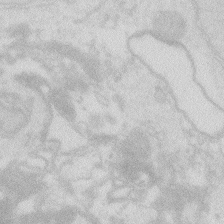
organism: Zebrafish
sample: Macrophage